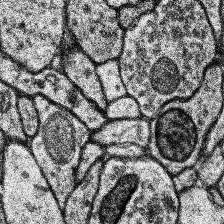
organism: Human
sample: Temporal Lobe